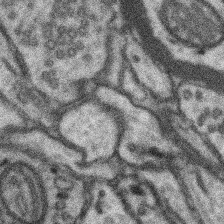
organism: Mouse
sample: Somatosensory cortex neuropil